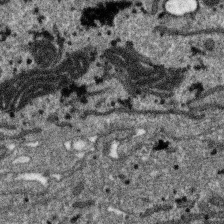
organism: Human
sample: Lung epithelial cells infected with SARS-CoV-2